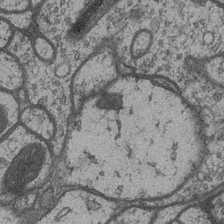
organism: Drosophila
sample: Optic medulla